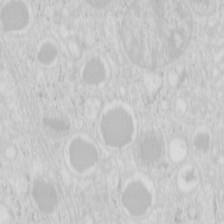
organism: Mouse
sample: Pancreas